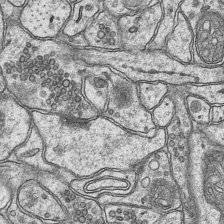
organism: Mouse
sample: CA1 Hippocampus